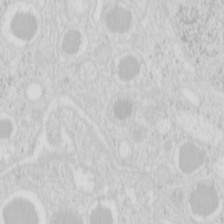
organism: Mouse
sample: Pancreas